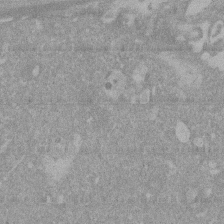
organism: Mouse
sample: ED-1 cell nuclei; centrioles